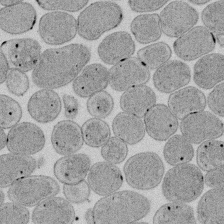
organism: E. coli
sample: Bacterial nucleoid